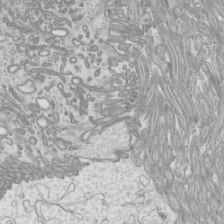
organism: Mouse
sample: Cilia; mouse epididymis